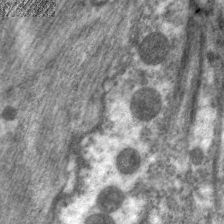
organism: C. elegans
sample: Pharynx